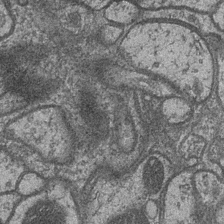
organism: Drosophila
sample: Optic medulla